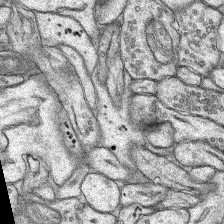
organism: Rat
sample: Hippocampus